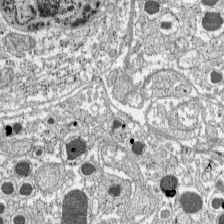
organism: C57BL Mouse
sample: Pancreatic islet